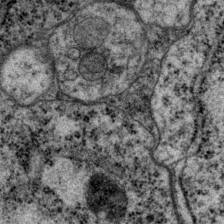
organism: P. pacificus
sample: Pharynx